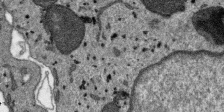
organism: Human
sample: Lung epithelial cells, uninfected (mock) control